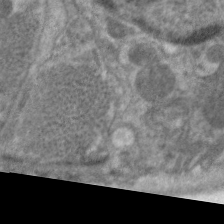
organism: C. elegans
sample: Pharynx